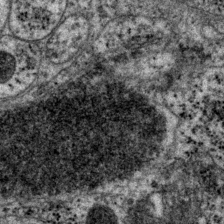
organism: P. pacificus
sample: Pharynx